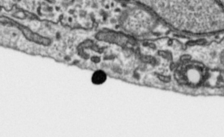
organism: Toxoplasma gondii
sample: Parasites in a vacuole inside a host cell